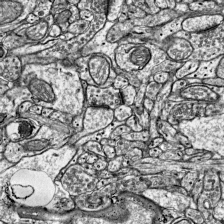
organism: Mouse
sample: Visual Cortex